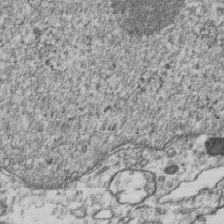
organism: Human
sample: Activated Jurkat CD4+ T cells